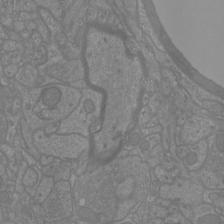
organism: Mouse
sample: Cortical neurons